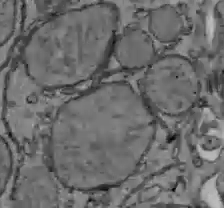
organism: C57BL Mouse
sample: Liver